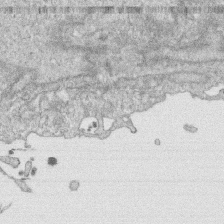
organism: Human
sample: HeLa cell HIV synapse